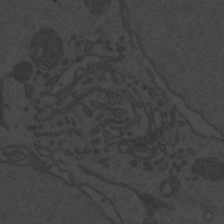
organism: Zebrafish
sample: Macrophage infected with Toxoplasma gondii